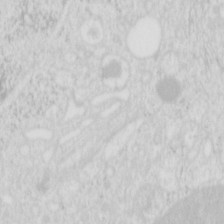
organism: Mouse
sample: Pancreas